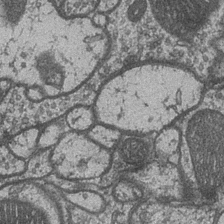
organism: Drosophila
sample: Optic medulla